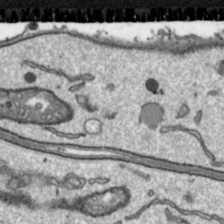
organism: Toxoplasma gondii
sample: Parasites in a vacuole inside a host cell